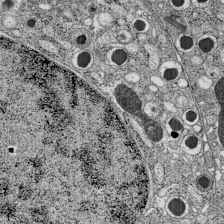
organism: C57BL Mouse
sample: Pancreatic islet